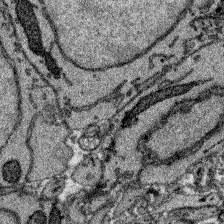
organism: Zebrafish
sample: Larval olfactory bulb